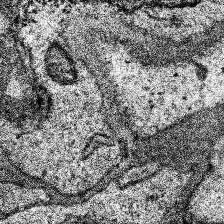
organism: Human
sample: Temporal Lobe